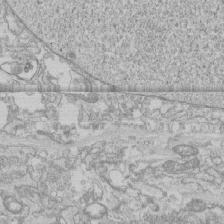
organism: Human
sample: CRL-1474